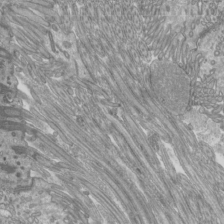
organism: Mouse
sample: Cilia; mouse epididymis